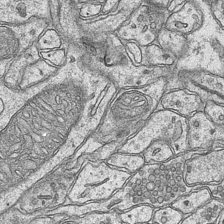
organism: Mouse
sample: CA1 Hippocampus